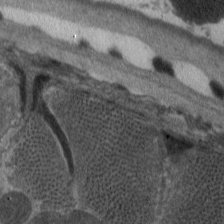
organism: C. elegans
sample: Pharynx